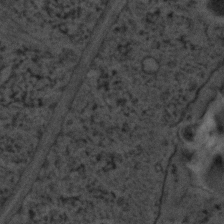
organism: C. elegans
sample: C. elegans embryo